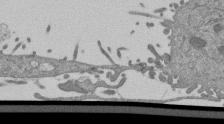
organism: Mouse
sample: ED-1 cell nuclei; centrioles